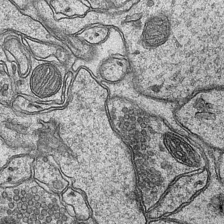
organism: Mouse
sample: CA1 Hippocampus